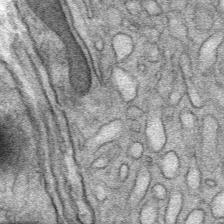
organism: Mouse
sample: Mouse Salivary gland